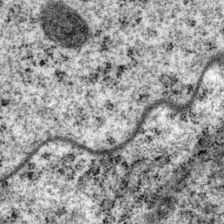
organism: P. pacificus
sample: Pharynx